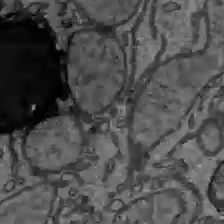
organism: C57BL Mouse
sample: Liver